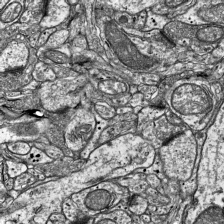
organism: Mouse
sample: Visual Cortex